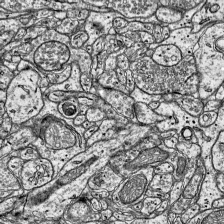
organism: Mouse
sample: Visual Cortex